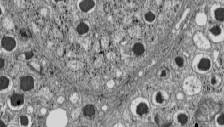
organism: C57BL Mouse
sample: Pancreatic islet